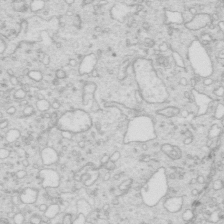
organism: Mouse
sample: Multiciliated cells